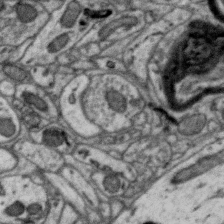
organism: Zebra finch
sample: Brain